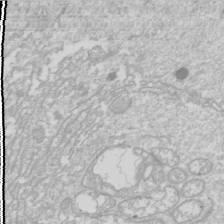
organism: Drosophila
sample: Cell division; meiosis; drosophila spermatocytes